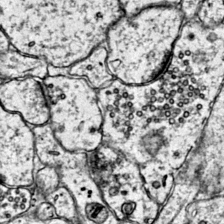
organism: Mouse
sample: Primary visual cortex